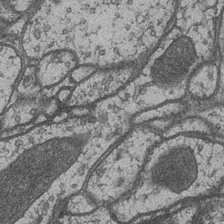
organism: Drosophila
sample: Optic medulla